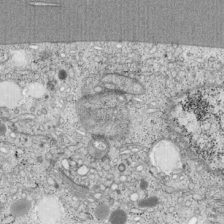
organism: African green monkey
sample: COS-7 cells